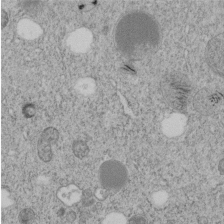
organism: C. elegans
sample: C. elegans embryo early stage